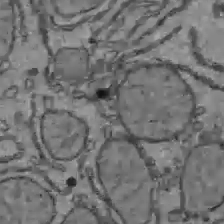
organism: C57BL Mouse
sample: Liver